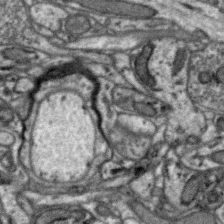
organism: Zebra finch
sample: Brain